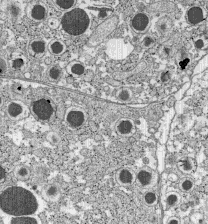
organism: C57BL Mouse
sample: Pancreatic islet